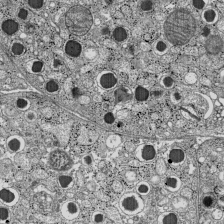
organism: C57BL Mouse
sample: Pancreatic islet